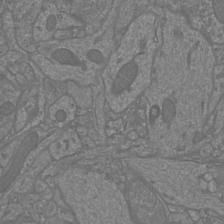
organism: Mouse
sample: Cortical neurons